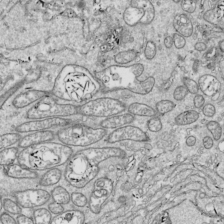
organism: Drosophila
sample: Cell division; meiosis; drosophila spermatocytes